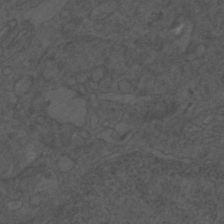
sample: Trachea